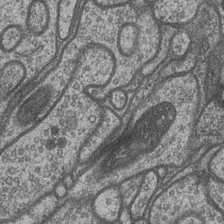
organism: Drosophila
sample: Optic medulla